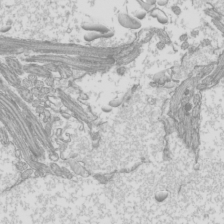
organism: Mouse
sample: Cilia; mouse epididymis